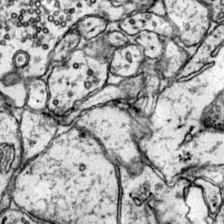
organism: Mouse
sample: Primary visual cortex